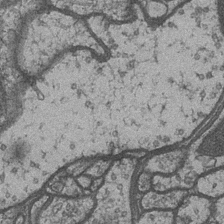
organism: Drosophila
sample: Optic medulla